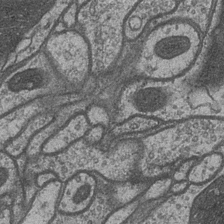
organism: Drosophila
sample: Optic medulla